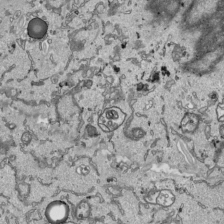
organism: Human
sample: Mitochondria in HCT116 cells